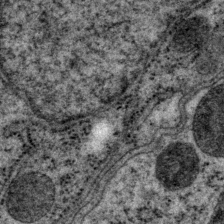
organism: P. pacificus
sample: Pharynx